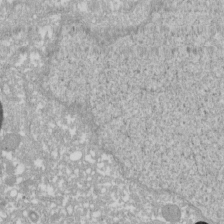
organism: Xenopus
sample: Cilia; centrioles in frog embryo cells